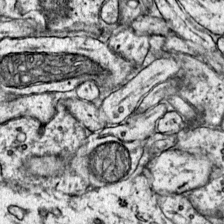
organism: Mouse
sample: Primary visual cortex